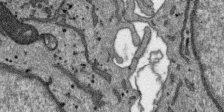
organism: Human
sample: Lung epithelial cells, uninfected (mock) control